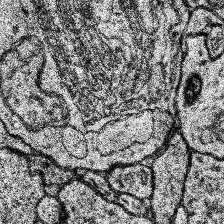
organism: Human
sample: Temporal Lobe